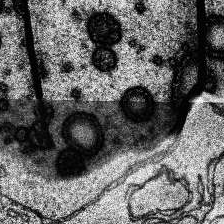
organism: Human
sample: Temporal Lobe